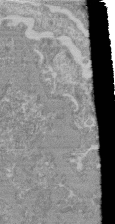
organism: Mouse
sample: Glomerulus